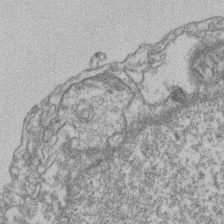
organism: Mouse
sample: T cell stromal cell synapse